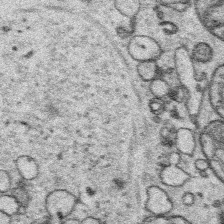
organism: Platynereis dumerilii